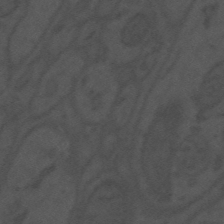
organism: Mouse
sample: Suprachiasmatic nucleus